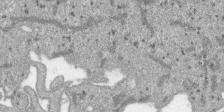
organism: Human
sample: Lung epithelial cells infected with SARS-CoV-2